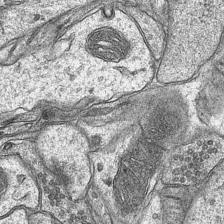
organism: Mouse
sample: CA1 Hippocampus